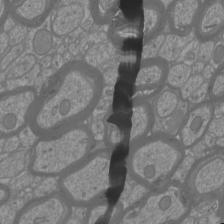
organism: Mouse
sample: Cortical neurons